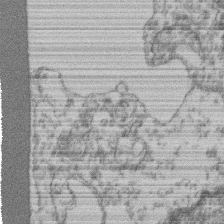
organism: Mouse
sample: T cell stromal cell synapse